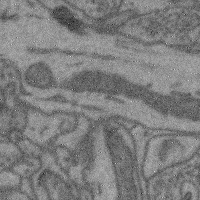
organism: Mouse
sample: Cerebral cortex